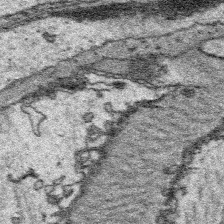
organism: Platynereis dumerilii